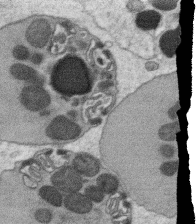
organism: C. elegans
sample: C. elegans oocyte; sperm cells